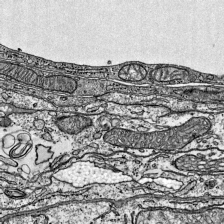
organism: Mouse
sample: Visual Cortex